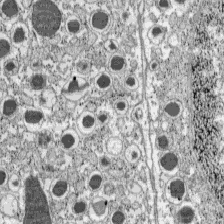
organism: C57BL Mouse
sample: Pancreatic islet